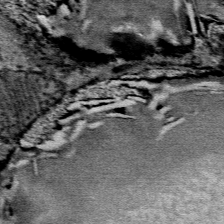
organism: Mouse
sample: Mouse Salivary gland